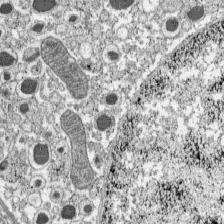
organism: C57BL Mouse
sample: Pancreatic islet